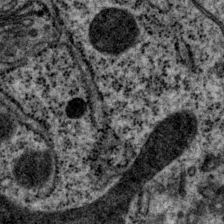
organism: P. pacificus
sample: Pharynx